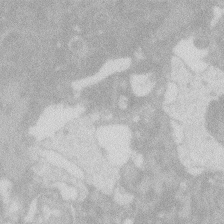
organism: Zebrafish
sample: Macrophage